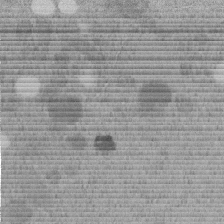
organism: C. elegans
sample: C. elegans embryo early stage